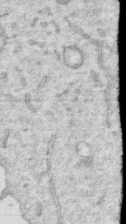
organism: Human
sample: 1205lu cells